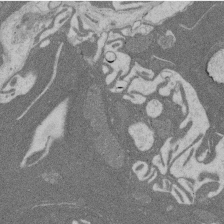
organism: Rat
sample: Salivary granule